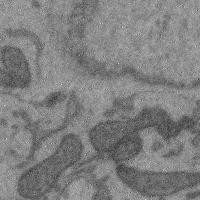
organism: Mouse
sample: Cerebral cortex